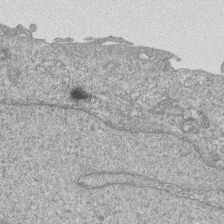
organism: Human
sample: HeLa cell HIV synapse